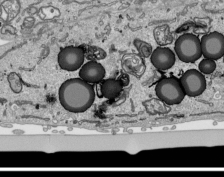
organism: Human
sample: Mitochondria in HCT116 cells